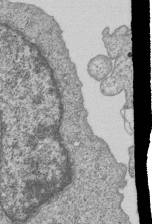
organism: Human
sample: MDA-MB-231 cells